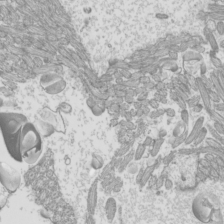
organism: Mouse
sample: Cilia; mouse epididymis